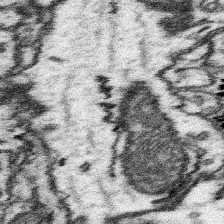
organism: Mouse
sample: Somatosensory cortex neuropil